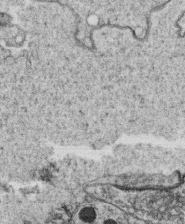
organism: C. elegans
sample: C. elegans oocyte; sperm cells